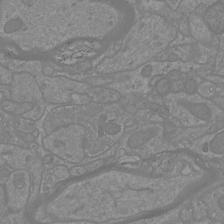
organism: Mouse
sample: Cortical neurons